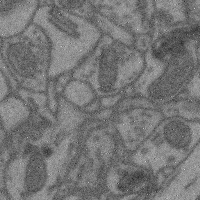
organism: Mouse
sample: Cerebral cortex